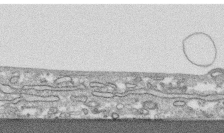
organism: Human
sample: CRL-1474